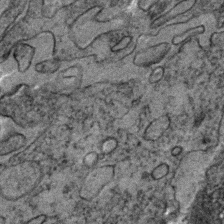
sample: Trachea